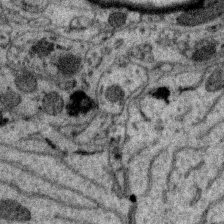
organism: Zebra finch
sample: Brain